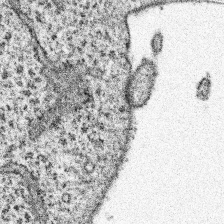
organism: Human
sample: HeLa cells